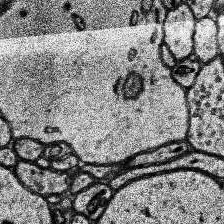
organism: Human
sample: Temporal Lobe